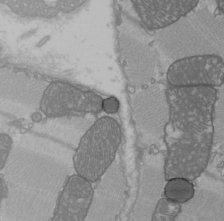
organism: C57BL Mouse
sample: Heart